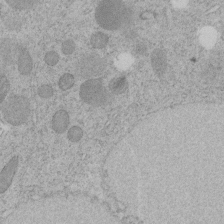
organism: C. elegans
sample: C. elegans embryo early stage